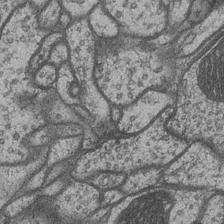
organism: Drosophila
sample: Optic medulla